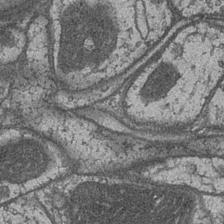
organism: Drosophila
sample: Optic medulla